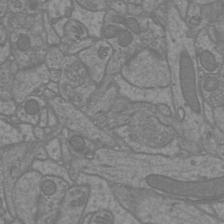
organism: Mouse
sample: Cortical neurons